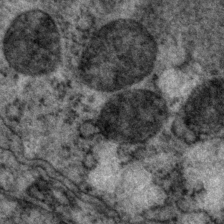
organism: P. pacificus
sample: Pharynx